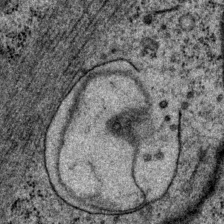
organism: P. pacificus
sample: Pharynx